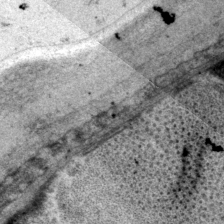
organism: P. pacificus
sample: Pharynx